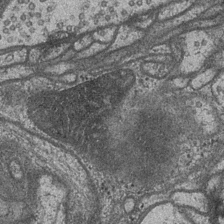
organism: Drosophila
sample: Optic medulla